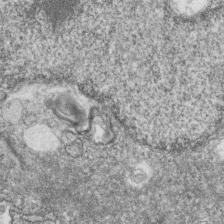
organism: Zebrafish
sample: Cilia; retinal pigment epithelium